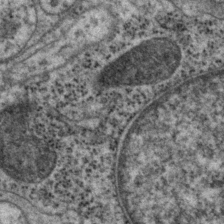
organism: P. pacificus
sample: Pharynx